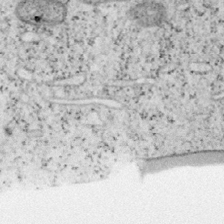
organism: Mouse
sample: OT-I killer T cells with ID8 ovarian cancer cells